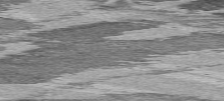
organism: C57BL Mouse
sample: Heart